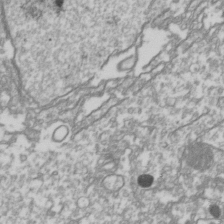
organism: Drosophila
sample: Cell division; meiosis; drosophila spermatocytes